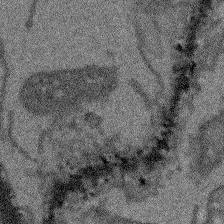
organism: Arabidopsis thaliana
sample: Root tip